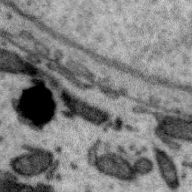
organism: Zebra finch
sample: Brain